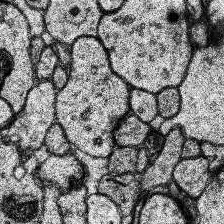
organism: Human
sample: Temporal Lobe